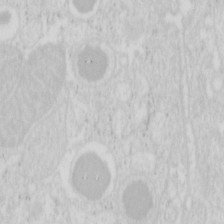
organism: Mouse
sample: Pancreas